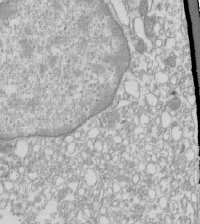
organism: Mouse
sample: Macrophages